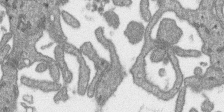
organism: Human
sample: Lung epithelial cells infected with SARS-CoV-2